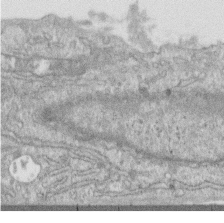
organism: Human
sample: Centriole in RPE cells